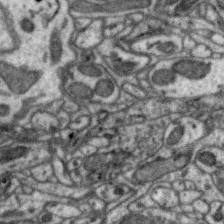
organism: Zebra finch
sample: Brain